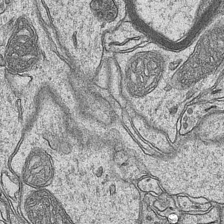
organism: Mouse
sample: CA1 Hippocampus